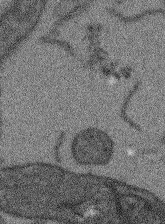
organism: Arabidopsis thaliana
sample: Root tip